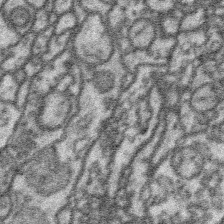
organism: Platynereis dumerilii